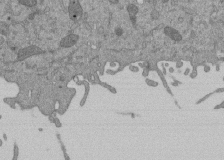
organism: Mouse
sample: ED-1 cell nuclei; centrioles